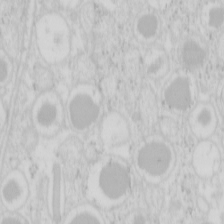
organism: Mouse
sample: Pancreas